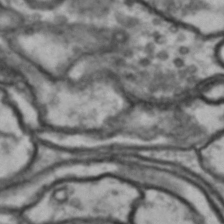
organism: Drosophila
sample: Brain